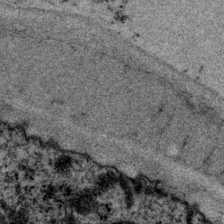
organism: P. pacificus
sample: Pharynx